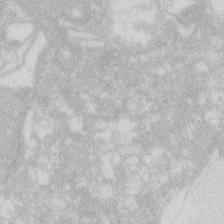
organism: Zebrafish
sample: Macrophage